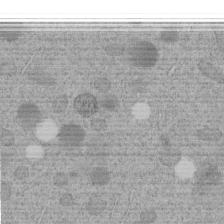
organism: C. elegans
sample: C. elegans embryo early stage